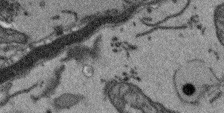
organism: Arabidopsis thaliana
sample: Root tip